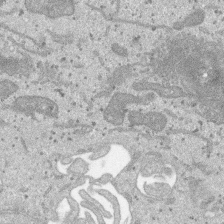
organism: Human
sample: Lung epithelial cells infected with SARS-CoV-2